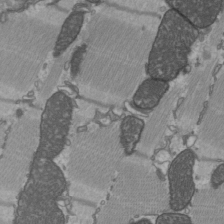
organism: C57BL Mouse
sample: Heart